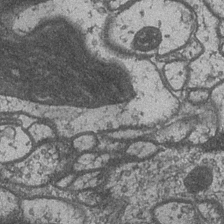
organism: Drosophila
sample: Optic medulla